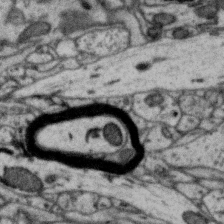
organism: Zebra finch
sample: Brain